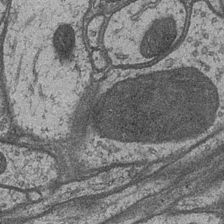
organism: Drosophila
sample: Optic medulla